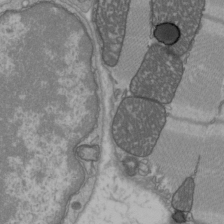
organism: C57BL Mouse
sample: Heart